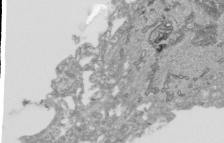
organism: Human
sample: Mitochondria in HCT116 cells